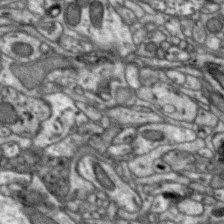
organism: Zebra finch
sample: Brain